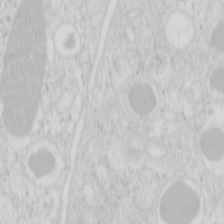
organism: Mouse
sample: Pancreas